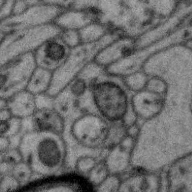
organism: Zebra finch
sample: Brain